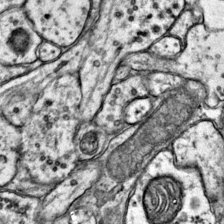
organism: Mouse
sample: Primary visual cortex